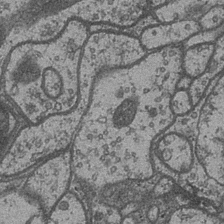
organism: Drosophila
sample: Optic medulla